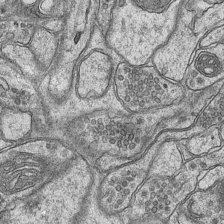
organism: Mouse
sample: CA1 Hippocampus